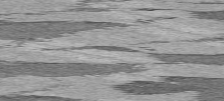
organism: C57BL Mouse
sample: Heart